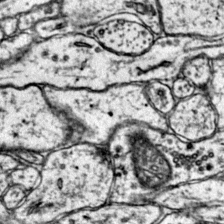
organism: Mouse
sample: Primary visual cortex